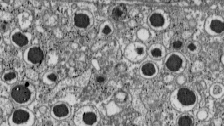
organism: C57BL Mouse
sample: Pancreatic islet